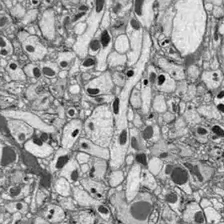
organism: Drosophila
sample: Optic lobe